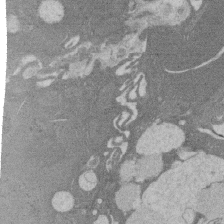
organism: Rat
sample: Salivary granule